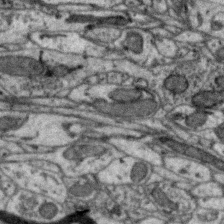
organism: Zebra finch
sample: Brain